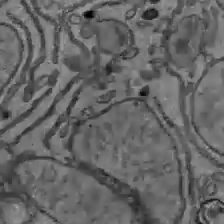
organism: C57BL Mouse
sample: Liver